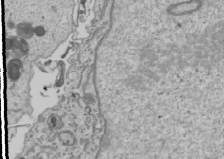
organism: Human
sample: Mitochondria in U2OS cells